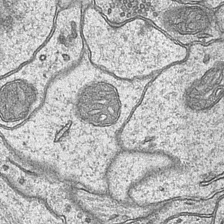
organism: Mouse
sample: CA1 Hippocampus